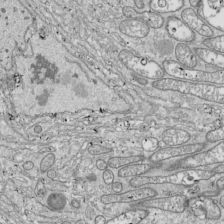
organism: Drosophila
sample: Cell division; meiosis; drosophila spermatocytes